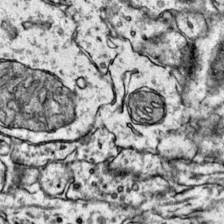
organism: Mouse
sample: Primary visual cortex